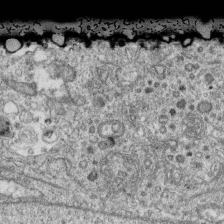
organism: Human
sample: HeLa cell HIV synapse